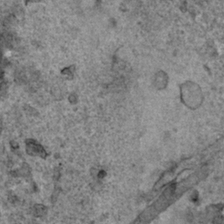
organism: Human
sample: Mitochondria in HCT116 cells